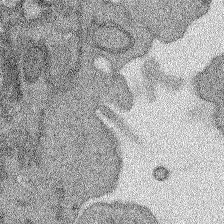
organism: Human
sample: HeLa cells